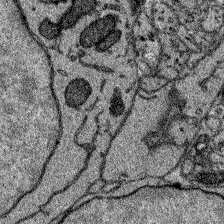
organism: Zebrafish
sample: Larval olfactory bulb